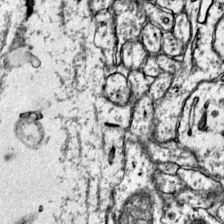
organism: Mouse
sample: Primary visual cortex